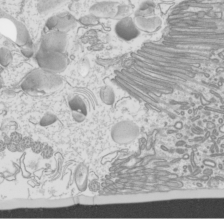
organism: Mouse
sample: Cilia; mouse epididymis